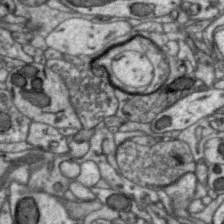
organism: Zebra finch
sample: Brain